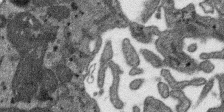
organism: Human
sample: Lung epithelial cells infected with SARS-CoV-2